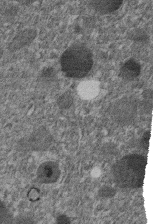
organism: C. elegans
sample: C. elegans embryo early stage